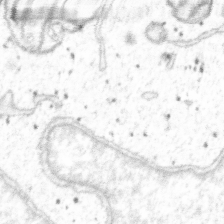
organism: Human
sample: HeLa cells